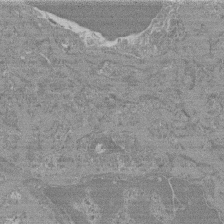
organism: Mouse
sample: Glomerulus